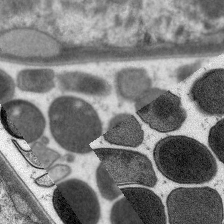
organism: C. elegans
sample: Pharynx